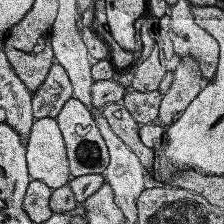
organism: Human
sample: Temporal Lobe